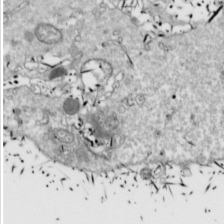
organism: Drosophila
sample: Cell division; meiosis; drosophila spermatocytes